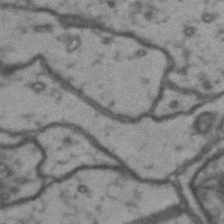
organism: Drosophila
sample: Brain